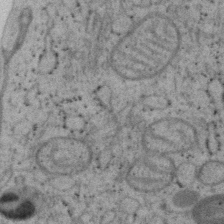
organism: Human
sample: HeLa cells